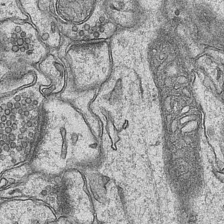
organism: Mouse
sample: CA1 Hippocampus